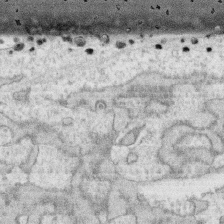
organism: Human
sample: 1205lu cells